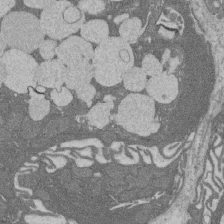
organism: Rat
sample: Salivary granule